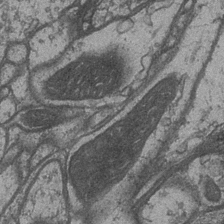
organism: Drosophila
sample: Optic medulla